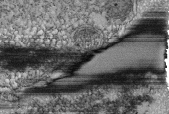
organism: Tetrahymena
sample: Cilia in tetrahymena